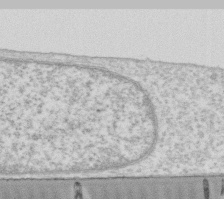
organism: Human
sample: Fibroblast cells